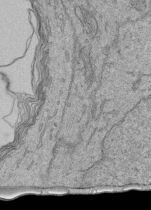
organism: Human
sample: Retinal organoid Rod and Cone cells